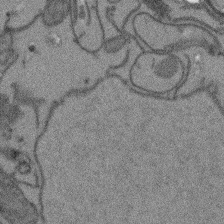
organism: Arabidopsis thaliana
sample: Root tip